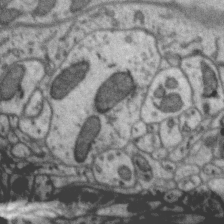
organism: Zebra finch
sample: Brain